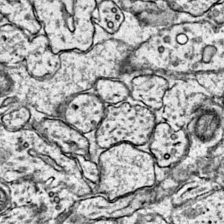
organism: Mouse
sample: Primary visual cortex